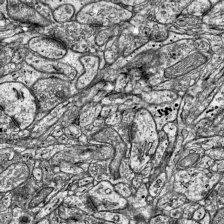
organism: Mouse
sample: Visual Cortex